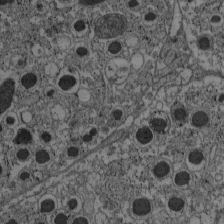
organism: C57BL Mouse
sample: Pancreatic islet